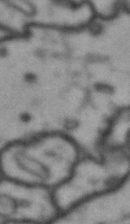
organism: Drosophila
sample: Brain